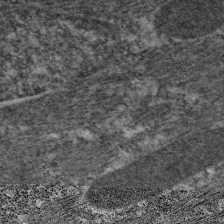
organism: C. elegans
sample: Pharynx